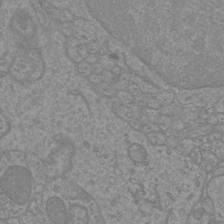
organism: Mouse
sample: Cortical neurons